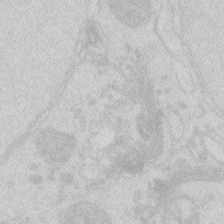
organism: Zebrafish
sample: Macrophage